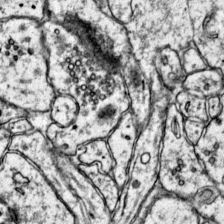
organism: Mouse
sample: Primary visual cortex